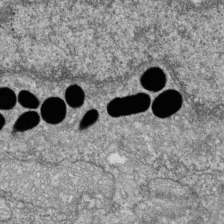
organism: Zebrafish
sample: Cilia; retinal pigment epithelium